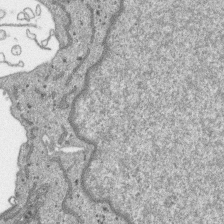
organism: Human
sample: Lung epithelial cells infected with SARS-CoV-2